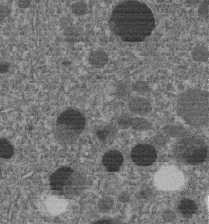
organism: C. elegans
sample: C. elegans embryo early stage